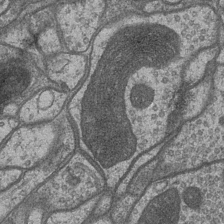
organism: Drosophila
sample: Optic medulla